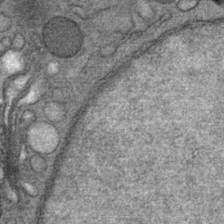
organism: Mouse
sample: Mouse Salivary gland